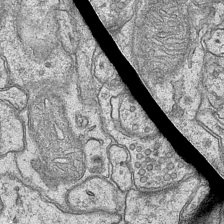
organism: Mouse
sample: CA1 Hippocampus